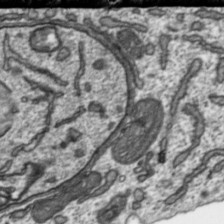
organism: Toxoplasma gondii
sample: Parasites in a vacuole inside a host cell